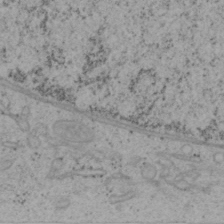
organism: Human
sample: HeLa cells